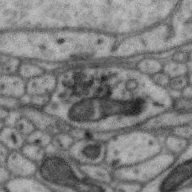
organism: Zebra finch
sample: Brain